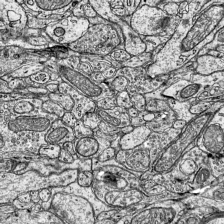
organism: Mouse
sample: Visual Cortex